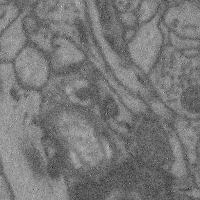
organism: Mouse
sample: Cerebral cortex